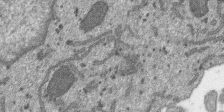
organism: Human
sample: Lung epithelial cells infected with SARS-CoV-2